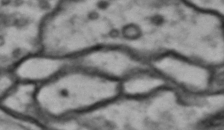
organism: Drosophila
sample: Brain